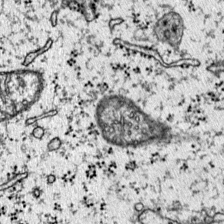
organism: Mouse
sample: Primary visual cortex